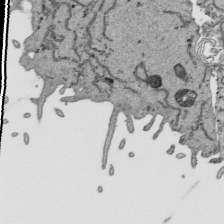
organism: Human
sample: Mitochondria in HCT116 cells